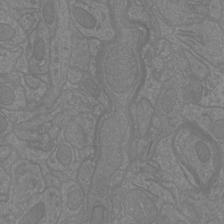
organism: Mouse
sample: Cortical neurons